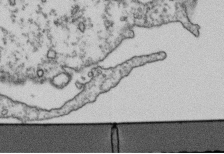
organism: Human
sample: Activated Jurkat CD4+ T cells